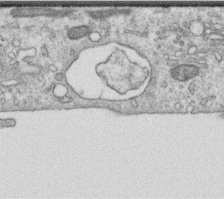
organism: Human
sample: Centriole in RPE cells